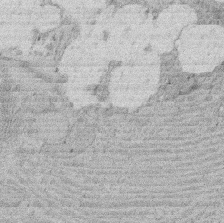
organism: Rat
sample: Salivary granule